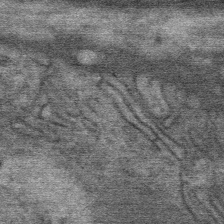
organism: Mouse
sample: Mouse Salivary gland